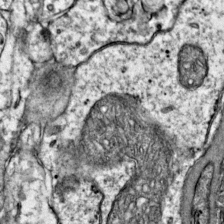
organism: Mouse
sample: Primary visual cortex